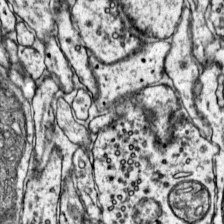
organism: Mouse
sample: Primary visual cortex